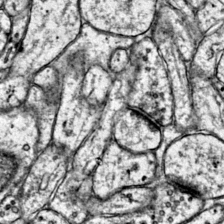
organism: Mouse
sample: Primary visual cortex